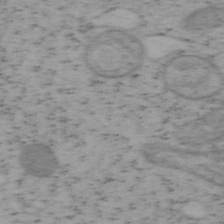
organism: Mouse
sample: OT-I killer T cells with ID8 ovarian cancer cells